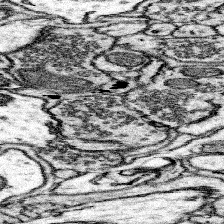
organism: Mouse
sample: Somatosensory cortex neuropil